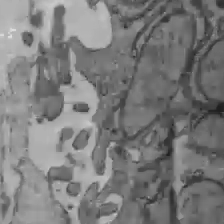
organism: C57BL Mouse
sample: Liver